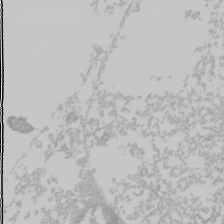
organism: Mouse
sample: Cancer cell death in ED-1 cells